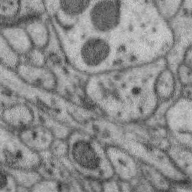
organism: Zebra finch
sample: Brain